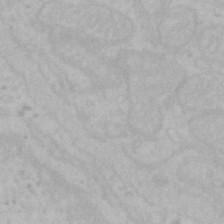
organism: Mouse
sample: Choroid plexus